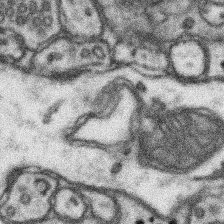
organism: Mouse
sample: Somatosensory cortex neuropil